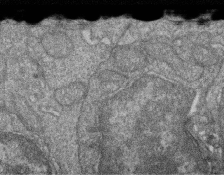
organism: Zebrafish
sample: Cilia; retinal pigment epithelium